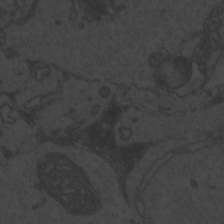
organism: Zebrafish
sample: Macrophage infected with Toxoplasma gondii